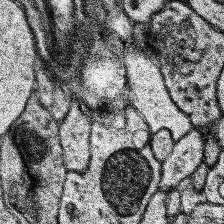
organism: Human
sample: Temporal Lobe